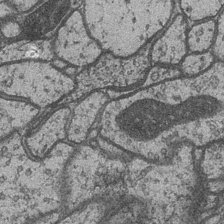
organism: Drosophila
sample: Optic medulla